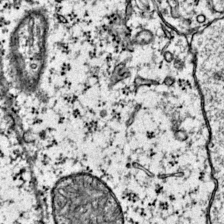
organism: Mouse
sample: Primary visual cortex